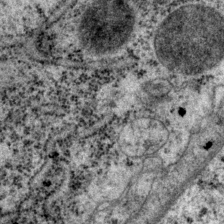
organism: P. pacificus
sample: Pharynx